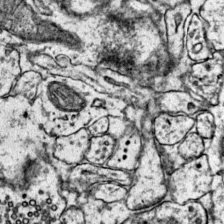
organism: Mouse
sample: Primary visual cortex